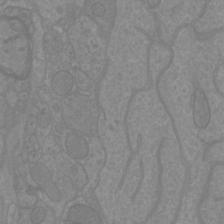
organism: Mouse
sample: Cortical neurons